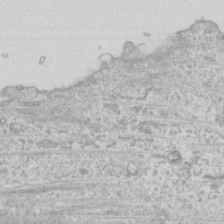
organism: Human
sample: Fibroblast cells